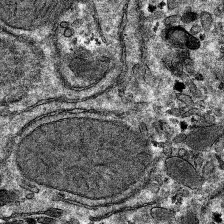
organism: Mouse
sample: Mouse hepatocytes